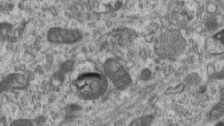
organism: Mouse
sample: Centriole in ependymal cells